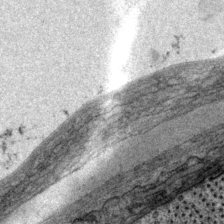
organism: P. pacificus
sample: Pharynx